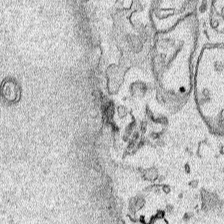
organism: Human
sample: Mitochondria in HCT116 cells